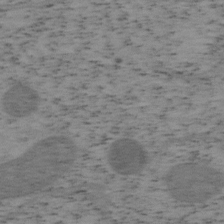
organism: Mouse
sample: OT-I killer T cells with ID8 ovarian cancer cells